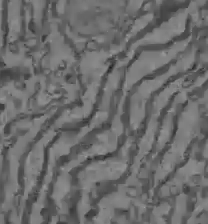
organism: C57BL Mouse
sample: Liver